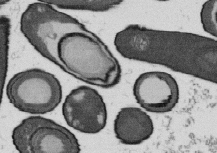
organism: B. subtilis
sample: Bacterial spore